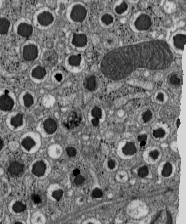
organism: C57BL Mouse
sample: Pancreatic islet